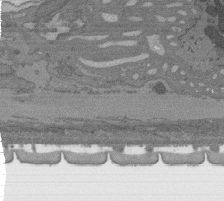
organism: C. elegans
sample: AFD neurons C. elegans